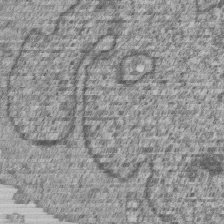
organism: Human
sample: MDA-MB-231 cells